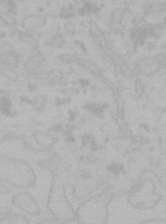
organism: Mouse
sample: Choroid plexus